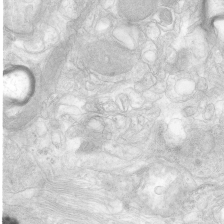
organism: Human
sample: Neocortex